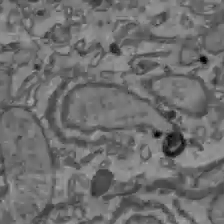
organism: C57BL Mouse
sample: Liver